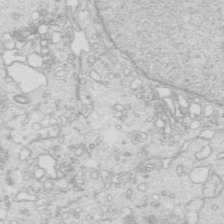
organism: Mouse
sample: Multiciliated cells